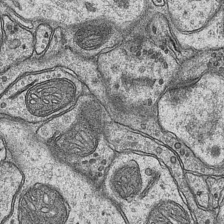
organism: Mouse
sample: CA1 Hippocampus